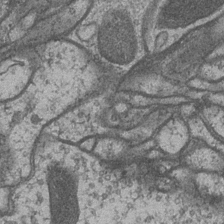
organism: Drosophila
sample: Optic medulla